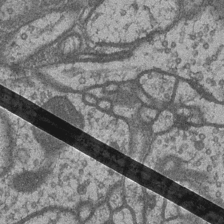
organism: Drosophila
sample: Optic medulla